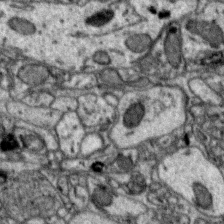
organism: Zebra finch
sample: Brain